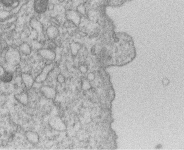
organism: Human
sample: Macrophage cells